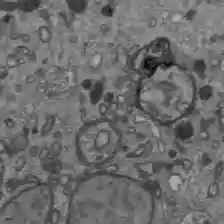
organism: C57BL Mouse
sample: Liver